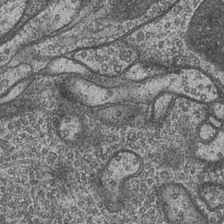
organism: Drosophila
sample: Optic medulla